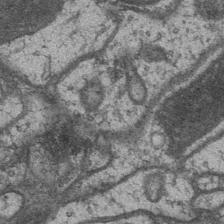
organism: Drosophila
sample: Optic medulla